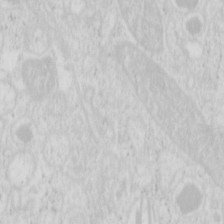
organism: Mouse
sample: Pancreas